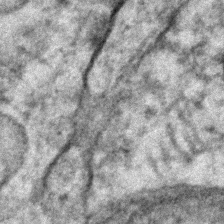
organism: Human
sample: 1205lu cells